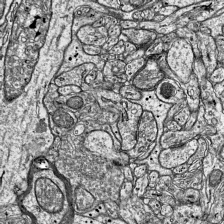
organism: Mouse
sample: Visual Cortex